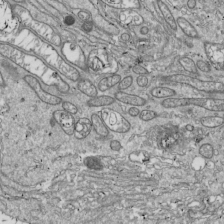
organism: Drosophila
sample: Cell division; meiosis; drosophila spermatocytes